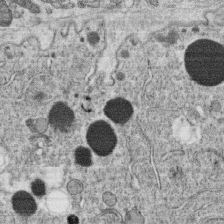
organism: C. elegans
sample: C. elegans oocyte; sperm cells